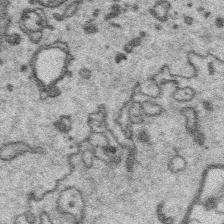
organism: Platynereis dumerilii